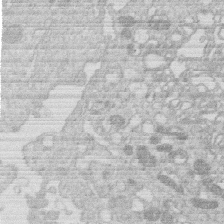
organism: Human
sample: Macrophage cells